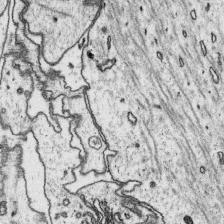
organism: Platynereis dumerilii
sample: Parapodia